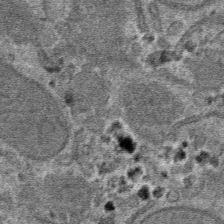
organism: Mouse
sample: Mouse hepatocytes